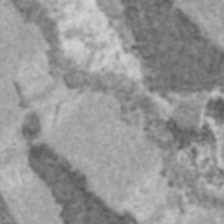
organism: C57BL Mouse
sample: Heart